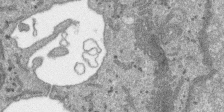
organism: Human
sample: Lung epithelial cells infected with SARS-CoV-2